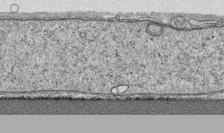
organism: Human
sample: CRL-1474